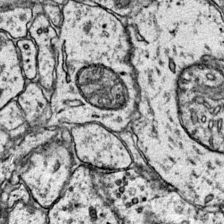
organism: Mouse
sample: Primary visual cortex